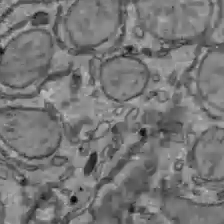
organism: C57BL Mouse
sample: Liver